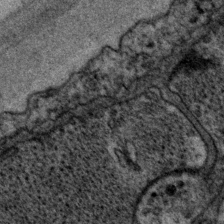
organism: P. pacificus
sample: Pharynx